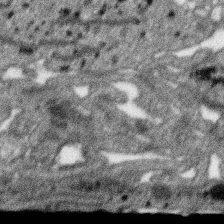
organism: Human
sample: Lung epithelial cells infected with SARS-CoV-2